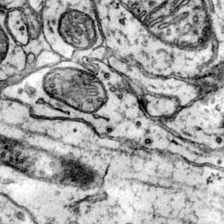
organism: Mouse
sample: Primary visual cortex